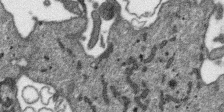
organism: Human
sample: Lung epithelial cells infected with SARS-CoV-2